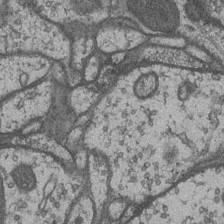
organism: Drosophila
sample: Optic medulla